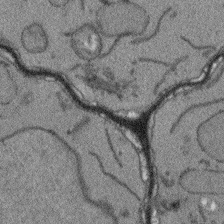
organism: Arabidopsis thaliana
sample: Root tip